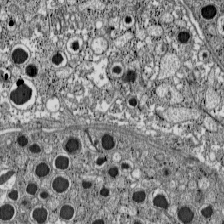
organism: C57BL Mouse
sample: Pancreatic islet